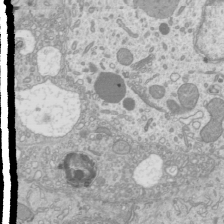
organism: Mouse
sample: Cilia; mouse epididymis